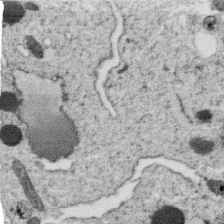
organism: C. elegans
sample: C. elegans oocyte; sperm cells